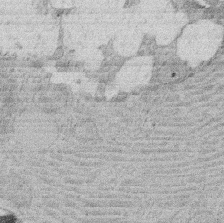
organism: Rat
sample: Salivary granule